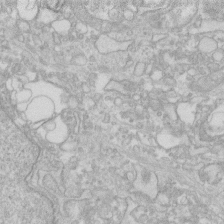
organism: Human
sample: Fibroblast cells